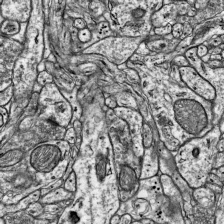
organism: Mouse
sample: Visual Cortex